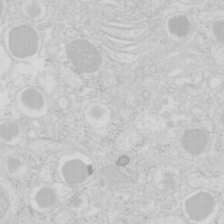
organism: Mouse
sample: Pancreas